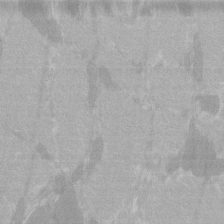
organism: C57BL Mouse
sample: Tibialis anterior muscle cell